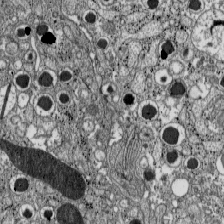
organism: C57BL Mouse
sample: Pancreatic islet